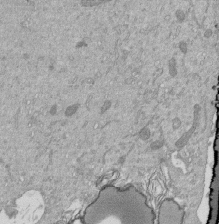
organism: Mouse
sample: ED-1 cell nuclei; centrioles